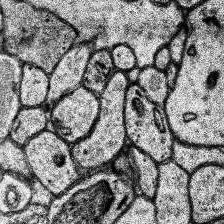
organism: Human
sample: Temporal Lobe